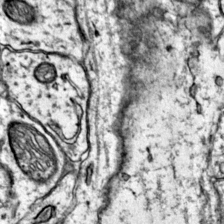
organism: Mouse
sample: Primary visual cortex